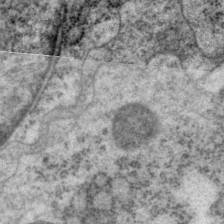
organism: P. pacificus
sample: Pharynx